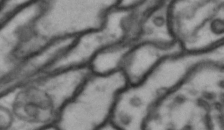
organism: Drosophila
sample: Brain